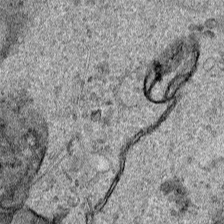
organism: Human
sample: Mitochondria in HCT116 cells